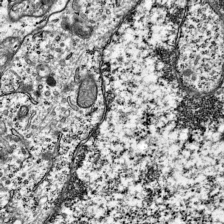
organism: Mouse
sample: Visual Cortex